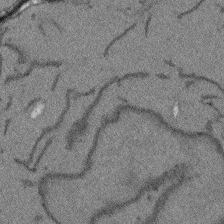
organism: Arabidopsis thaliana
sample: Root tip